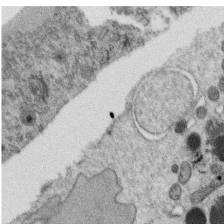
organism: C. elegans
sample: C. elegans oocyte; sperm cells